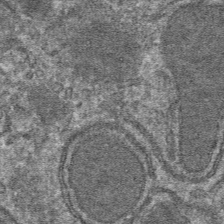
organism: Mouse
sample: Mouse hepatocytes